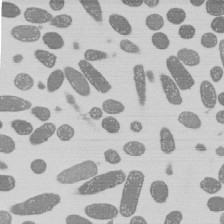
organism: E. coli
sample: Bacterial nucleoid